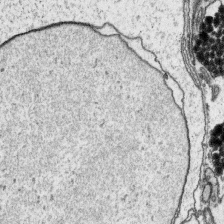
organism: Platynereis dumerilii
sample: Parapodia